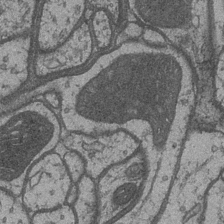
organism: Drosophila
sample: Optic medulla